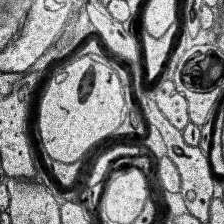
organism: Human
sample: Temporal Lobe